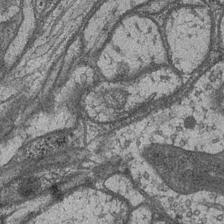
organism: Drosophila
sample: Optic medulla